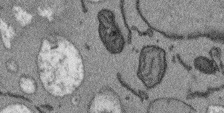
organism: Arabidopsis thaliana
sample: Root tip